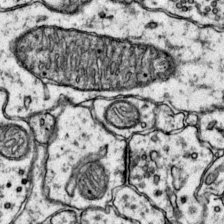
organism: Mouse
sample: Primary visual cortex